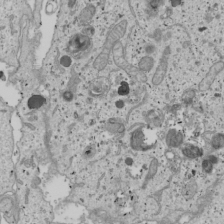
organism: Human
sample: Mitochondria in U2OS cells